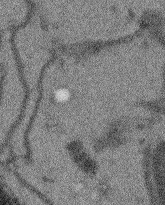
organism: Arabidopsis thaliana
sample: Root tip